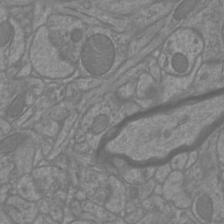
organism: Mouse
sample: Cortical neurons